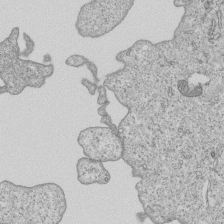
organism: Human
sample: MDA-MB-231 cells